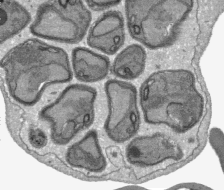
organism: Plasmodium falciparum